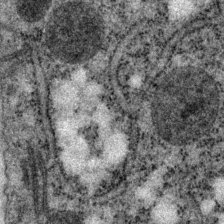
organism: P. pacificus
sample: Pharynx